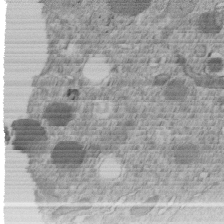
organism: C. elegans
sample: C. elegans embryo early stage